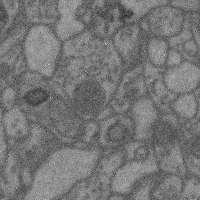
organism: Mouse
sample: Cerebral cortex